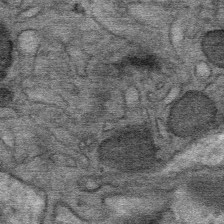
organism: Mouse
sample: Mouse Salivary gland